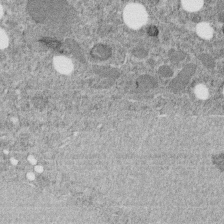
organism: C. elegans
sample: C. elegans embryo early stage